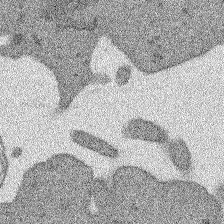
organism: Human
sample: HeLa cells